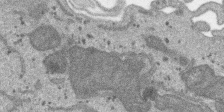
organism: Human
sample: Lung epithelial cells infected with SARS-CoV-2